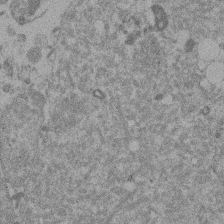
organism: Mouse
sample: Dividing mouse embryo 1 cell stage